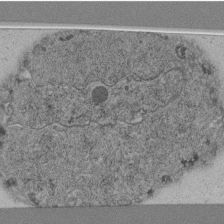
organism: C. elegans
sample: C. elegans pharynx